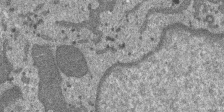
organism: Human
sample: Lung epithelial cells infected with SARS-CoV-2